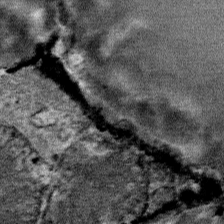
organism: Mouse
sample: Mouse Salivary gland